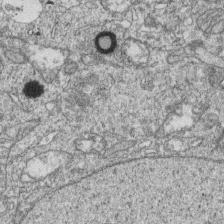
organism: Human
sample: HeLa cell HIV synapse